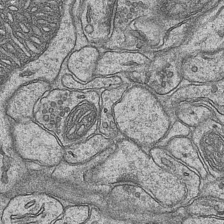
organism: Mouse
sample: CA1 Hippocampus